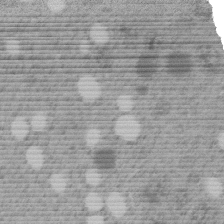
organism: C. elegans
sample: C. elegans embryo early stage